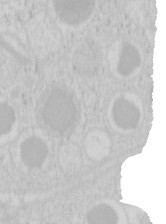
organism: Mouse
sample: Pancreas